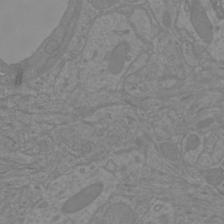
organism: Mouse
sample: Cortical neurons